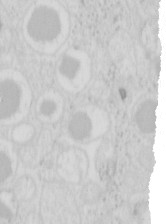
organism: Mouse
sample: Pancreas